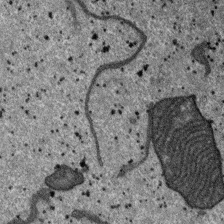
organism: Human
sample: Lung epithelial cells, uninfected (mock) control